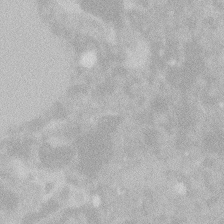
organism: Zebrafish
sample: Macrophage